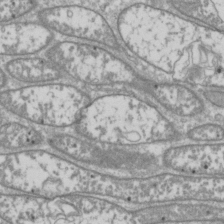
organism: Drosophila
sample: Cell division; meiosis; drosophila spermatocytes